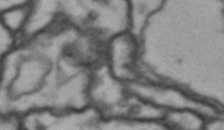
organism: Drosophila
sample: Brain